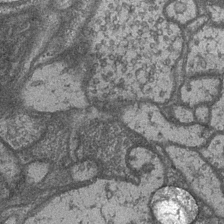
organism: Drosophila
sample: Optic medulla